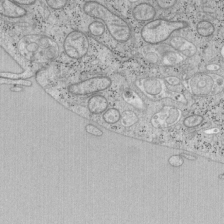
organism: Mouse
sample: OT-I killer T cells with ID8 ovarian cancer cells